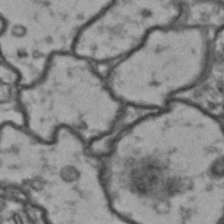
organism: Drosophila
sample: Brain